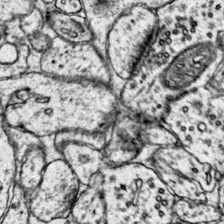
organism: Mouse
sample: Primary visual cortex